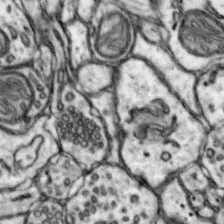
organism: Mouse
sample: Nucleus accumbens